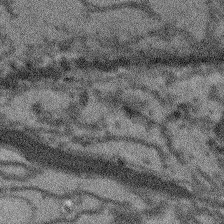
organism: Arabidopsis thaliana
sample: Root tip